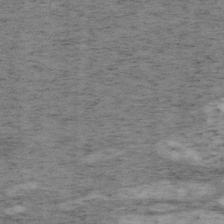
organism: Mouse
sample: OT-I killer T cells with ID8 ovarian cancer cells